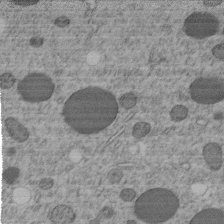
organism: C. elegans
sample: C. elegans embryo early stage